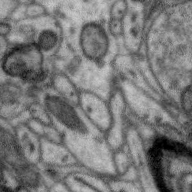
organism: Zebra finch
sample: Brain